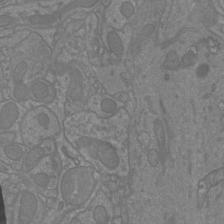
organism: Mouse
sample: Cortical neurons